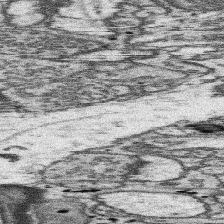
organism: Mouse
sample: Somatosensory cortex neuropil